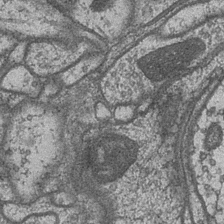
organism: Drosophila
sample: Optic medulla